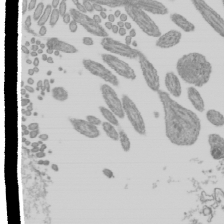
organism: Mouse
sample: Cilia; mouse epididymis